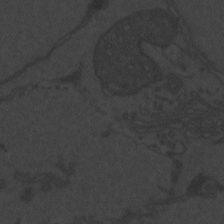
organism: Zebrafish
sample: Macrophage infected with Toxoplasma gondii